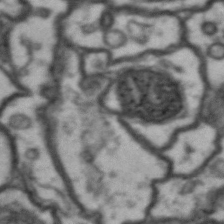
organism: Drosophila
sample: Brain